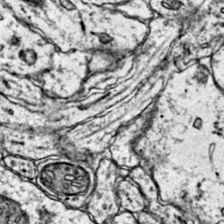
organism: Mouse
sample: Primary visual cortex